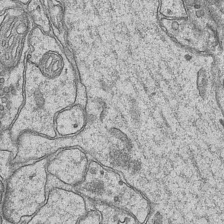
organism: Mouse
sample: CA1 Hippocampus